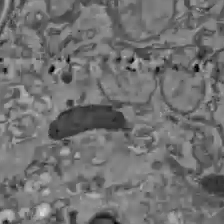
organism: C57BL Mouse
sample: Liver